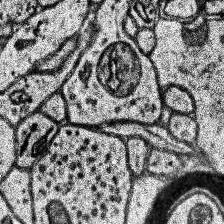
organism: Human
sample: Temporal Lobe